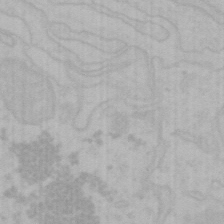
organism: Mouse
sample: Choroid plexus